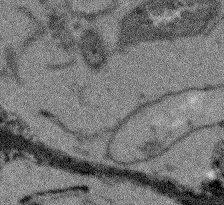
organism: Arabidopsis thaliana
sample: Root tip